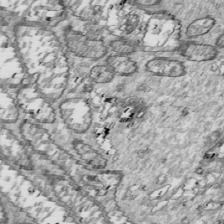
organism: Drosophila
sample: Cell division; meiosis; drosophila spermatocytes